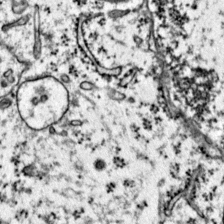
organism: Mouse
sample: Primary visual cortex